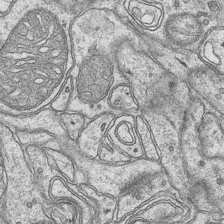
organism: Mouse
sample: CA1 Hippocampus